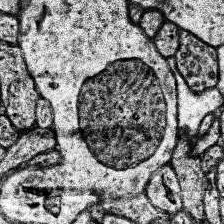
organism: Human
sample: Temporal Lobe